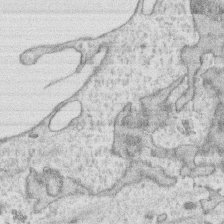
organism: Human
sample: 1205lu cells